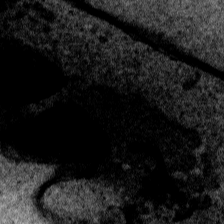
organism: Human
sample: Mitochondria in HCT116 cells